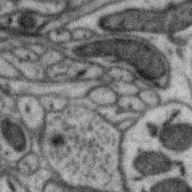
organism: Zebra finch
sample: Brain